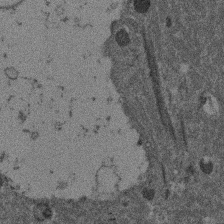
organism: Mouse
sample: Dividing mouse embryo 1 cell stage